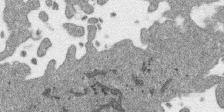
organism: Human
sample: Lung epithelial cells infected with SARS-CoV-2